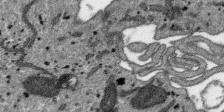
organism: Human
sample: Lung epithelial cells, uninfected (mock) control